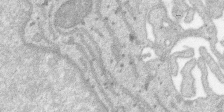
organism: Human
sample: Lung epithelial cells infected with SARS-CoV-2